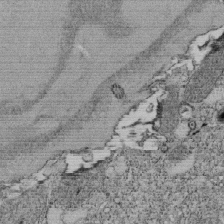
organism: Tetrahymena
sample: Cilia in tetrahymena